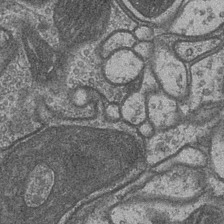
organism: Drosophila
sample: Optic medulla